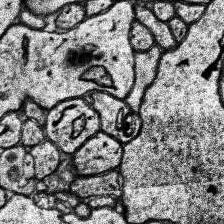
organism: Human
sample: Temporal Lobe